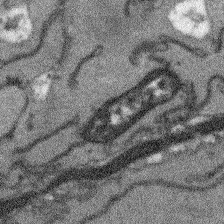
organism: Arabidopsis thaliana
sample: Root tip